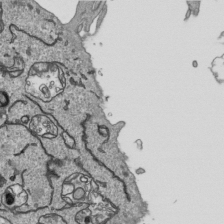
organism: Human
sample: Mitochondria in HCT116 cells